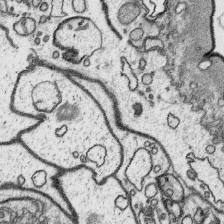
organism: Platynereis dumerilii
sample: Parapodia